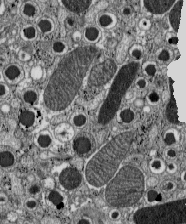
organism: C57BL Mouse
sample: Pancreatic islet